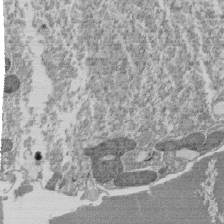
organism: Tetrahymena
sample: Cilia in tetrahymena